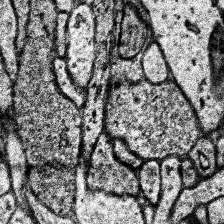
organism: Human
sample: Temporal Lobe